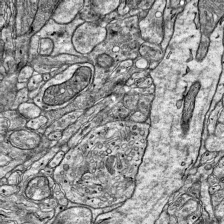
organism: Mouse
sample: Visual Cortex